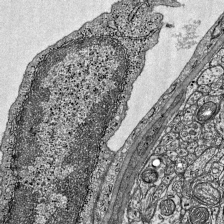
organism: Mouse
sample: Visual Cortex